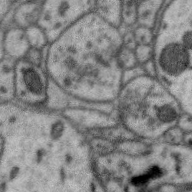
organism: Zebra finch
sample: Brain